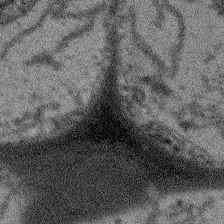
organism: Arabidopsis thaliana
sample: Root tip